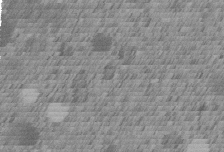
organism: C. elegans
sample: C. elegans embryo early stage